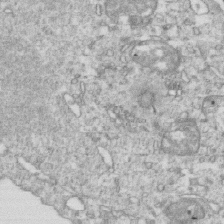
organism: Mouse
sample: Activated OT-1 CD8+ T cells